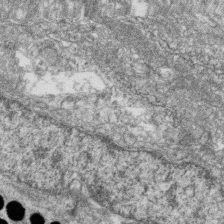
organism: Zebrafish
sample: Cilia; retinal pigment epithelium